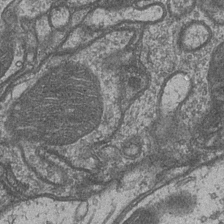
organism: Drosophila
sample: Optic medulla